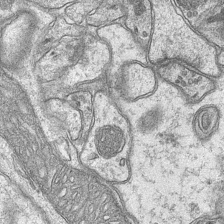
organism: Mouse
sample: CA1 Hippocampus